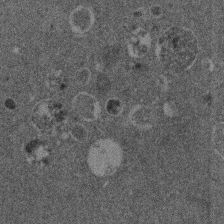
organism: Mouse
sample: Dividing mouse embryo 1 cell stage